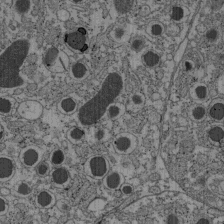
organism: C57BL Mouse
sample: Pancreatic islet